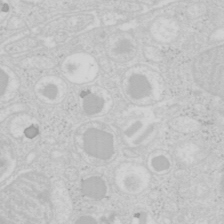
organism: Mouse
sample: Pancreas